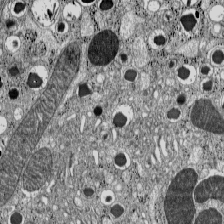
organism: C57BL Mouse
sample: Pancreatic islet